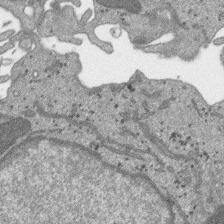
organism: Human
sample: Lung epithelial cells infected with SARS-CoV-2